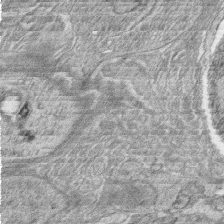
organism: Zebrafish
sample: synaptic ribbons in rod cells and cone cells